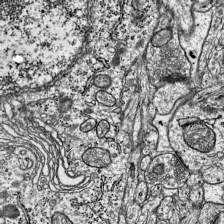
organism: Mouse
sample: Visual Cortex